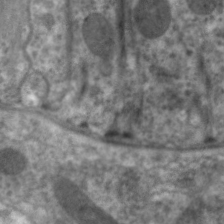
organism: C. elegans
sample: Pharynx